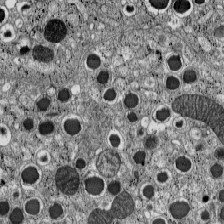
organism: C57BL Mouse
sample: Pancreatic islet